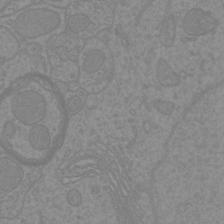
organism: Mouse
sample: Cortical neurons